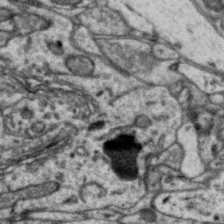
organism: Zebra finch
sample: Brain